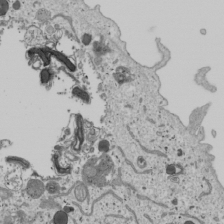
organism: Human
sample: Mitochondria in U2OS cells